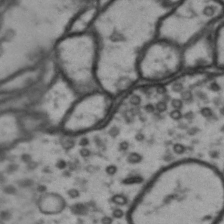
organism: Drosophila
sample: Brain